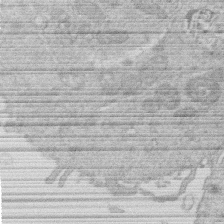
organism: Human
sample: Macrophage cells